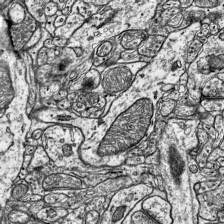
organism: Mouse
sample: Visual Cortex